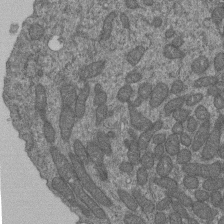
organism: Human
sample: Retinal organoid Rod and Cone cells